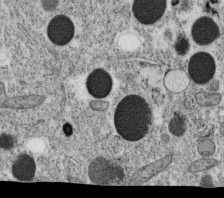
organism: C. elegans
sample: C. elegans oocyte; sperm cells